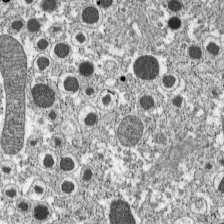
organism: C57BL Mouse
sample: Pancreatic islet